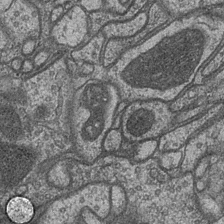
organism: Drosophila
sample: Optic medulla